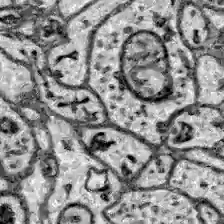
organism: Zebrafish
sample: Brain